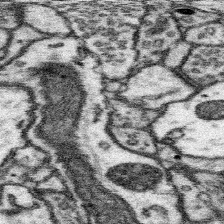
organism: Mouse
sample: Somatosensory cortex neuropil